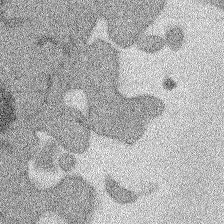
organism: Human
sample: HeLa cells